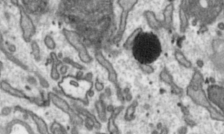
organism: Toxoplasma gondii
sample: Parasites in a vacuole inside a host cell